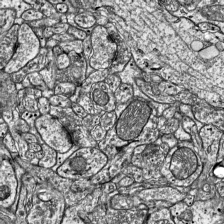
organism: Mouse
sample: Visual Cortex